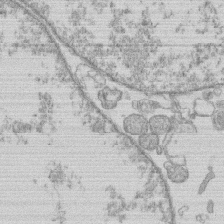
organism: Human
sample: Macrophage cells